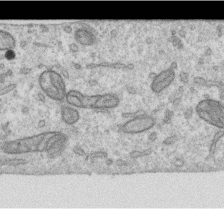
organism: Human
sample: Centriole in RPE cells